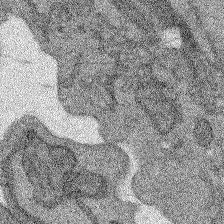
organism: Human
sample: HeLa cells